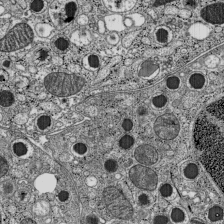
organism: C57BL Mouse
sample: Pancreatic islet